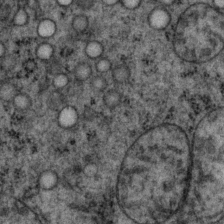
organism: P. pacificus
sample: Pharynx